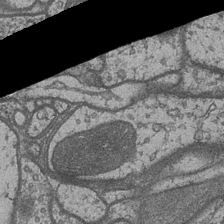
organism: Drosophila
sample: Optic medulla